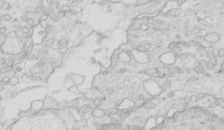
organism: Mouse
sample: Multiciliated cells